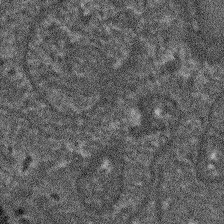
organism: Arabidopsis thaliana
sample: Root tip